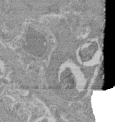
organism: Mouse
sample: Glomerulus